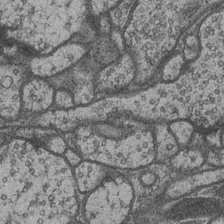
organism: Drosophila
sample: Optic medulla